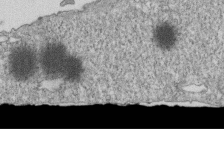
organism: Human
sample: HeLa cell HIV synapse